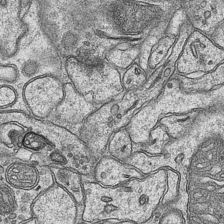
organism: Mouse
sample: CA1 Hippocampus